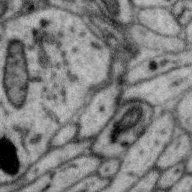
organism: Zebra finch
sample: Brain